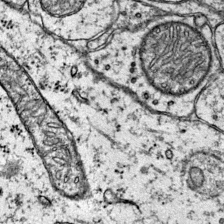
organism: Mouse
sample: Primary visual cortex